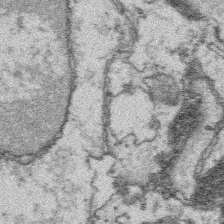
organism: Platynereis dumerilii